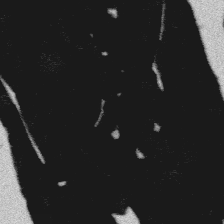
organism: Platynereis dumerilii